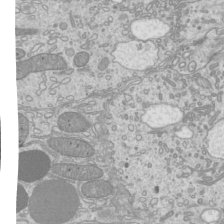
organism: Mouse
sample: Cilia; mouse epididymis